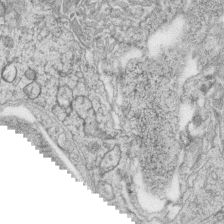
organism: Zebrafish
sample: synaptic ribbons in rod cells and cone cells